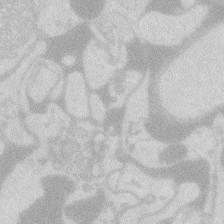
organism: Zebrafish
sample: Macrophage